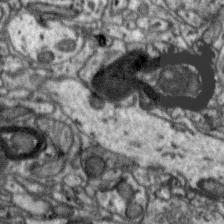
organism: Zebra finch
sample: Brain